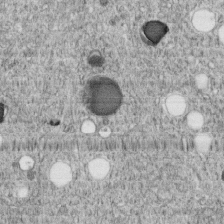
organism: C. elegans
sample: C. elegans embryo early stage